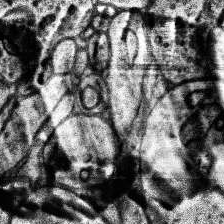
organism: Human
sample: Temporal Lobe